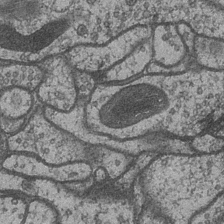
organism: Drosophila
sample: Optic medulla